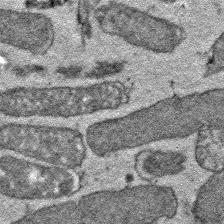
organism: E. coli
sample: E. Coli Bacteria